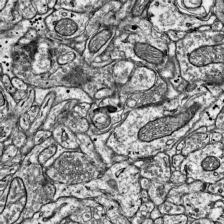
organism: Mouse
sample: Visual Cortex